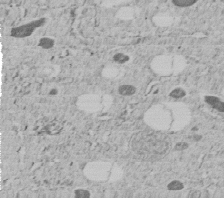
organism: C. elegans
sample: C. elegans embryo early stage